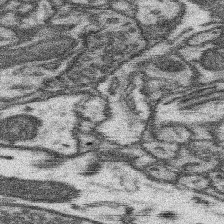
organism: Mouse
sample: Somatosensory cortex neuropil